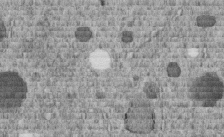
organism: C. elegans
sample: C. elegans embryo early stage